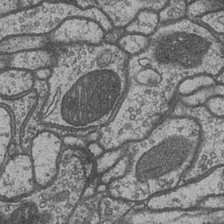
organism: Drosophila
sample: Optic medulla